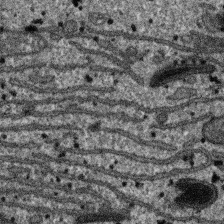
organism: Human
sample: Lung epithelial cells infected with SARS-CoV-2